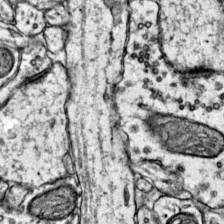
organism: Mouse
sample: Primary visual cortex